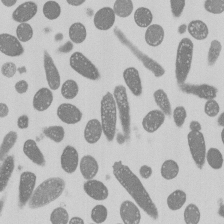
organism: E. coli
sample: Bacterial nucleoid